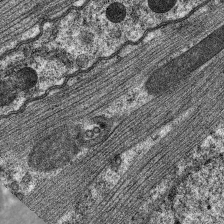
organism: C. elegans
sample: Pharynx